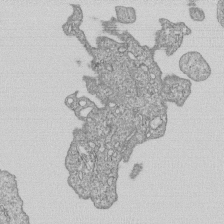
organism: Human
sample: MDA-MB-231 cells